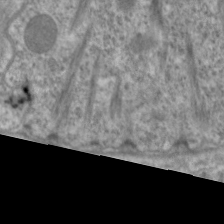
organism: C. elegans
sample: Pharynx